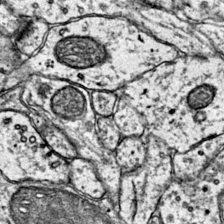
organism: Mouse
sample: Primary visual cortex